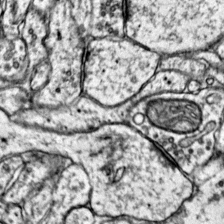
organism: Mouse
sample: Primary visual cortex